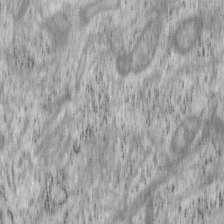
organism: Human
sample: HeLa cells